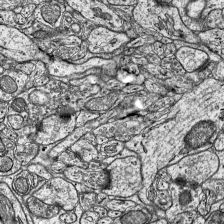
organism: Mouse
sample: Visual Cortex